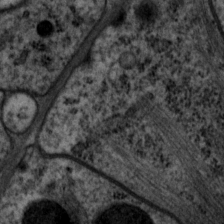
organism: P. pacificus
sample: Pharynx